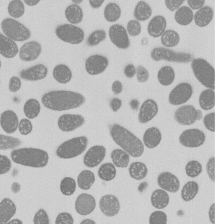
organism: E. coli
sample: Bacterial nucleoid